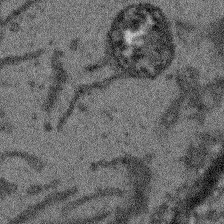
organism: Arabidopsis thaliana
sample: Root tip